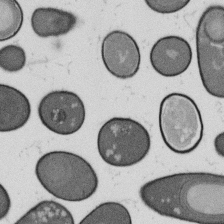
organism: B. subtilis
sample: Bacterial spore